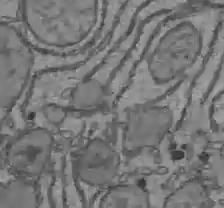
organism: C57BL Mouse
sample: Liver